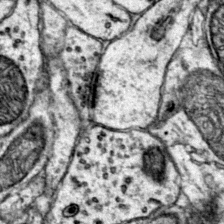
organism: Mouse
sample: Primary visual cortex